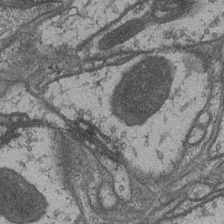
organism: Drosophila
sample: Optic medulla